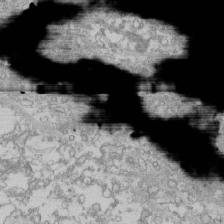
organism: Human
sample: CRL-1474